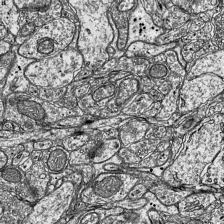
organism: Mouse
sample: Visual Cortex